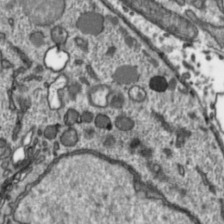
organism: Toxoplasma gondii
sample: Parasites in a vacuole inside a host cell